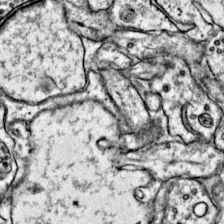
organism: Mouse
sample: Primary visual cortex